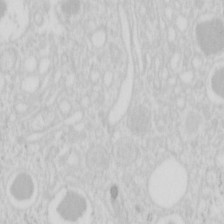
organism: Mouse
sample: Pancreas